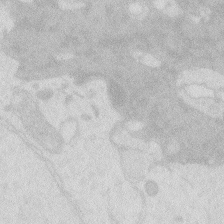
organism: Zebrafish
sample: Macrophage